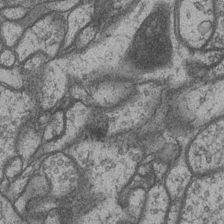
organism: Drosophila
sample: Optic medulla